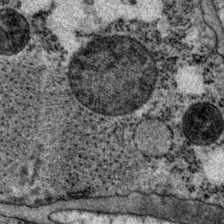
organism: P. pacificus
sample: Pharynx